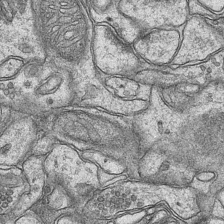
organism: Mouse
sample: CA1 Hippocampus